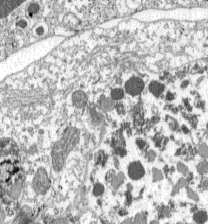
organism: C57BL Mouse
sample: Pancreatic islet